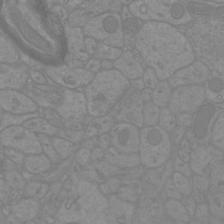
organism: Mouse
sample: Cortical neurons